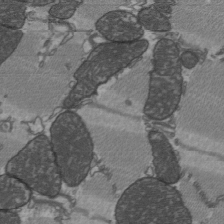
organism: C57BL Mouse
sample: Heart